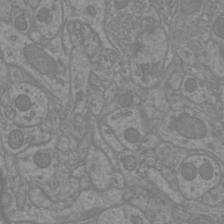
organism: Mouse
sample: Cortical neurons